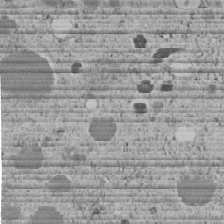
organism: C. elegans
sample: C. elegans embryo early stage